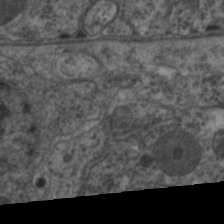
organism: C. elegans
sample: Pharynx